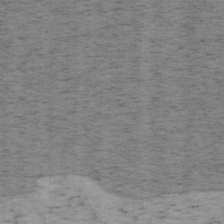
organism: Mouse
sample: OT-I killer T cells with ID8 ovarian cancer cells